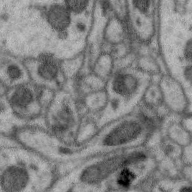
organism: Zebra finch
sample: Brain